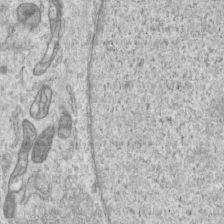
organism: Human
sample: Centriole in RPE cells